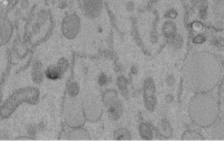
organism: C. elegans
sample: C. elegans embryo early stage